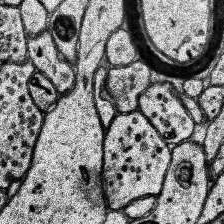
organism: Human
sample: Temporal Lobe